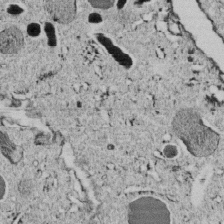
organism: C. elegans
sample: C. elegans embryo early stage